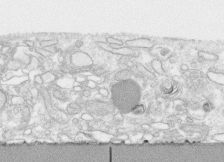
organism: Human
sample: CRL-1474